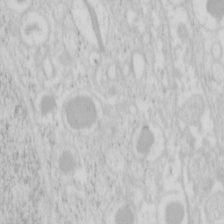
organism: Mouse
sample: Pancreas